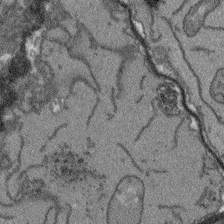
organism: Arabidopsis thaliana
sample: Root tip